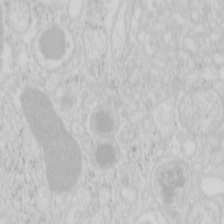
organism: Mouse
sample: Pancreas